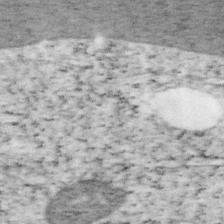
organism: Mouse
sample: OT-I killer T cells with ID8 ovarian cancer cells